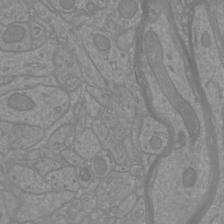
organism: Mouse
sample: Cortical neurons